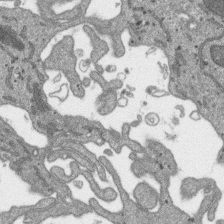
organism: Human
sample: Lung epithelial cells infected with SARS-CoV-2